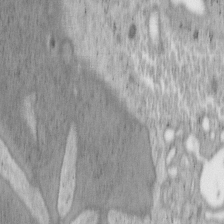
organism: Human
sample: HeLa cells